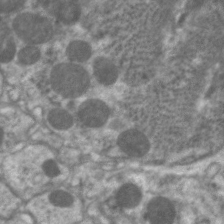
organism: C. elegans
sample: Pharynx